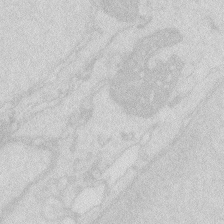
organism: Zebrafish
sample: Macrophage